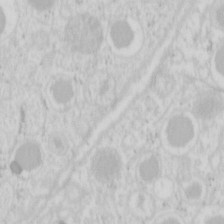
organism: Mouse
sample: Pancreas